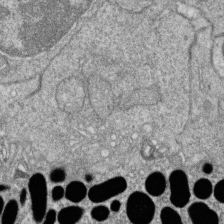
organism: Zebrafish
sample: Cilia; retinal pigment epithelium